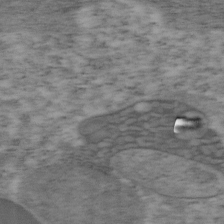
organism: Mouse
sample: OT-I killer T cells with ID8 ovarian cancer cells